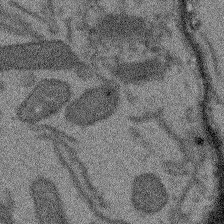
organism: Arabidopsis thaliana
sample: Root tip